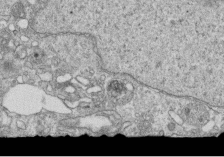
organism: Human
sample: HeLa cell HIV synapse